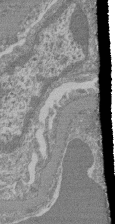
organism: Mouse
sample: Glomerulus